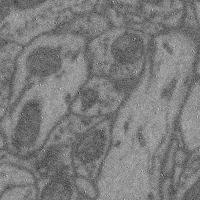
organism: Mouse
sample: Cerebral cortex